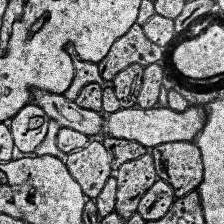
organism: Human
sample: Temporal Lobe